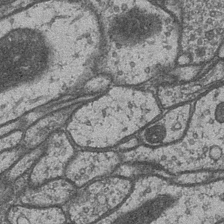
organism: Drosophila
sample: Optic medulla